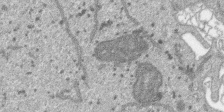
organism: Human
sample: Lung epithelial cells infected with SARS-CoV-2